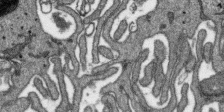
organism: Human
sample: Lung epithelial cells, uninfected (mock) control